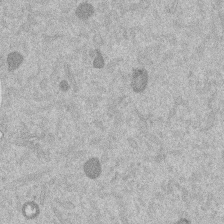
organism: Mouse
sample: Dividing mouse embryo 1 cell stage